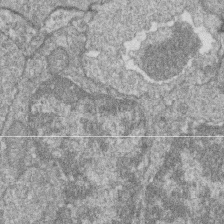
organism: Zebrafish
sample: Cilia; retinal pigment epithelium